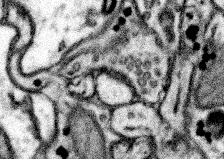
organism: Mouse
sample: Somatosensory cortex neuropil